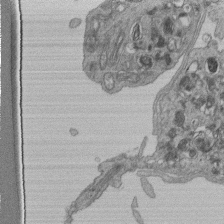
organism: Human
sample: Retinal organoid Rod and Cone cells